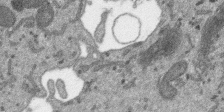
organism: Human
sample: Lung epithelial cells infected with SARS-CoV-2